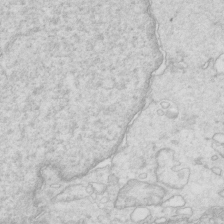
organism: Mouse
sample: Multiciliated cells